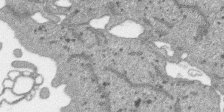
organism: Human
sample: Lung epithelial cells infected with SARS-CoV-2